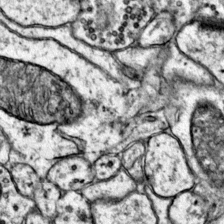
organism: Mouse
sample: Primary visual cortex